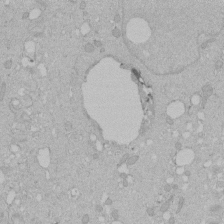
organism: Human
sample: Melanocyte Keratinocyte synapse skin construct